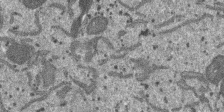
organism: Human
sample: Lung epithelial cells infected with SARS-CoV-2